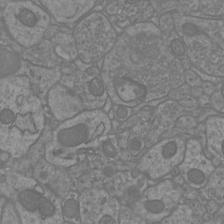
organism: Mouse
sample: Cortical neurons